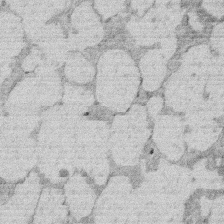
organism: Rat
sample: Salivary granule